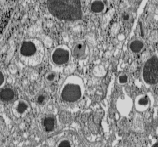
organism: C57BL Mouse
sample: Pancreatic islet